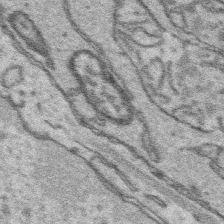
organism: Platynereis dumerilii